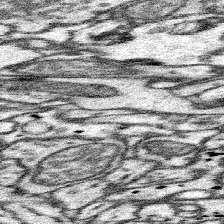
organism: Mouse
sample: Somatosensory cortex neuropil